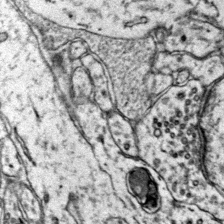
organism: Mouse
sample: Primary visual cortex